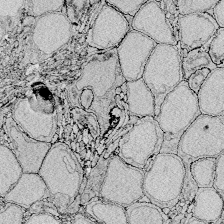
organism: Zebrafish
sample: Whole-Brain